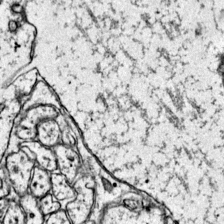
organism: Mouse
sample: Primary visual cortex